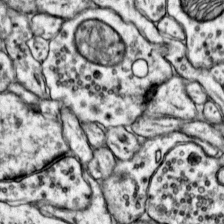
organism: Mouse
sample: Primary visual cortex